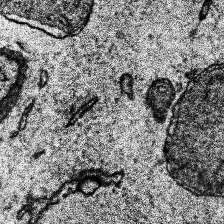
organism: Human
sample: Temporal Lobe